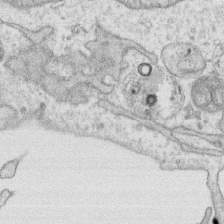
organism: Human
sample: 1205lu cells